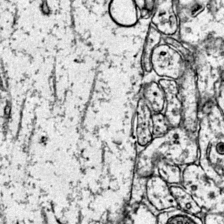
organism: Mouse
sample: Primary visual cortex